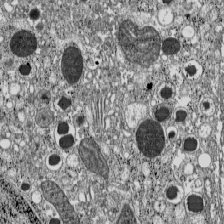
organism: C57BL Mouse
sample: Pancreatic islet